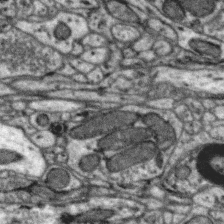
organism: Zebra finch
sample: Brain